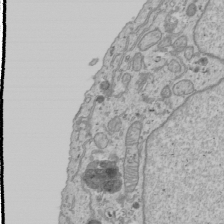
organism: Human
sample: Mitochondria in U2OS cells